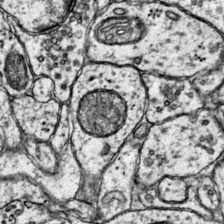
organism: Mouse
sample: Primary visual cortex